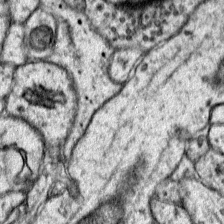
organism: Mouse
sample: Primary visual cortex